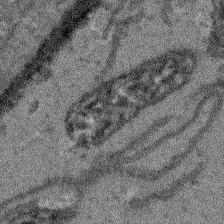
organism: Arabidopsis thaliana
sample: Root tip